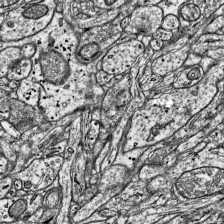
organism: Mouse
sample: Visual Cortex